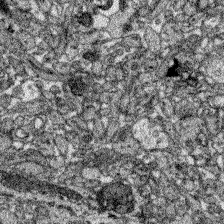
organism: Zebrafish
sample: Larval olfactory bulb